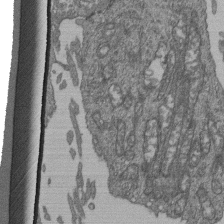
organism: Human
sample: Retinal organoid Rod and Cone cells